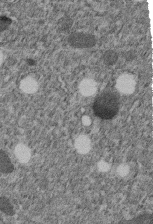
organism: C. elegans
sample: C. elegans embryo early stage